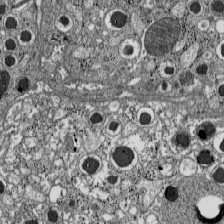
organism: C57BL Mouse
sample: Pancreatic islet